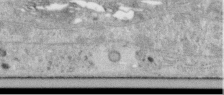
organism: Human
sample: Centriole in RPE cells